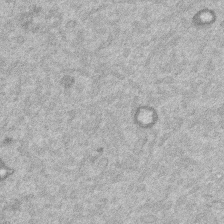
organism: Mouse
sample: Dividing mouse embryo 1 cell stage